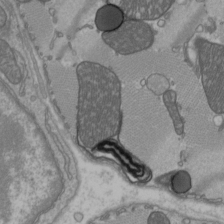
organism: C57BL Mouse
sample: Heart